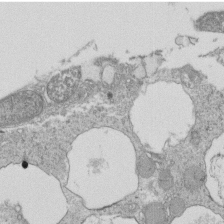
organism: Tetrahymena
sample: Cilia in tetrahymena